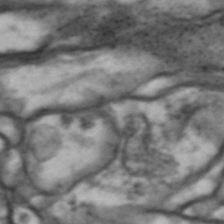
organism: Drosophila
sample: Brain